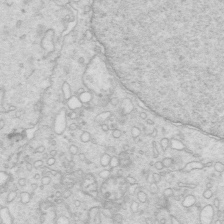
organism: Mouse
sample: Multiciliated cells